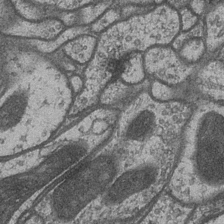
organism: Drosophila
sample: Optic medulla